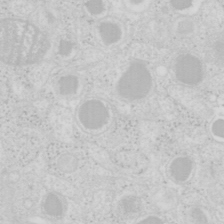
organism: Mouse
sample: Pancreas